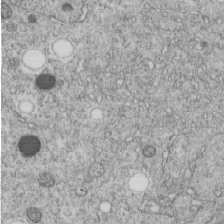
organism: C. elegans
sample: C. elegans embryo early stage